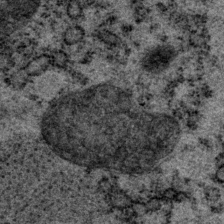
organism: P. pacificus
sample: Pharynx